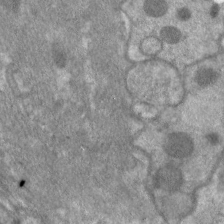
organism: C. elegans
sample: Pharynx